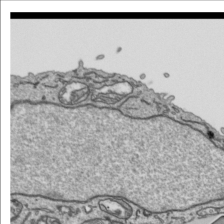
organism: Human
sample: Mitochondria in HCT116 cells